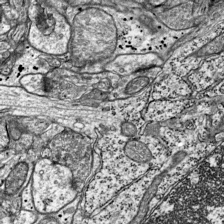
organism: Mouse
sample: Visual Cortex